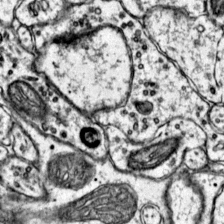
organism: Mouse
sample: Primary visual cortex